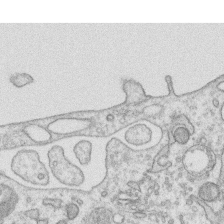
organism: Human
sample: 1205lu cells